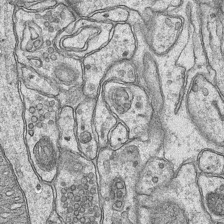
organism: Mouse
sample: CA1 Hippocampus